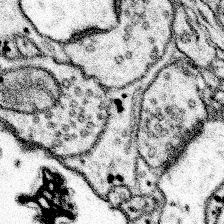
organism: Mouse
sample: Somatosensory cortex neuropil